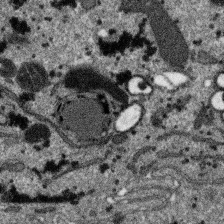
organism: Human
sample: Lung epithelial cells infected with SARS-CoV-2